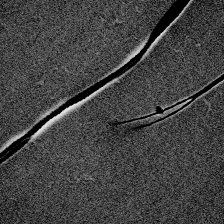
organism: Zebrafish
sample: Whole-Brain